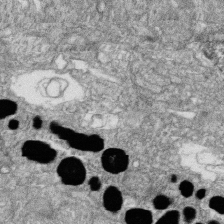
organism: Zebrafish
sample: Cilia; retinal pigment epithelium